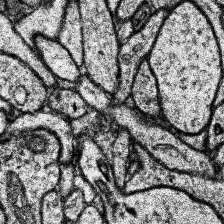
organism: Human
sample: Temporal Lobe